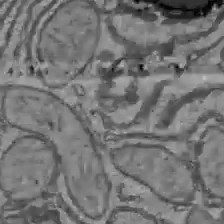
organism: C57BL Mouse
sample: Liver